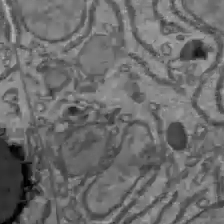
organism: C57BL Mouse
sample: Liver